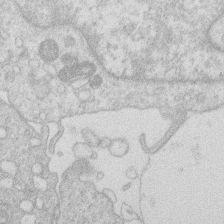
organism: Human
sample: Macrophage cells